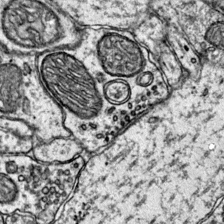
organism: Mouse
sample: Primary visual cortex